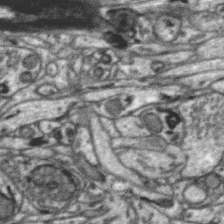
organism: Zebra finch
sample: Brain